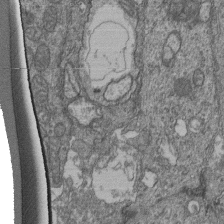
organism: Human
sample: Retinal organoid Rod and Cone cells